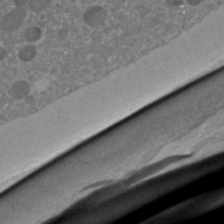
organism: C. elegans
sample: C. elegans embryo